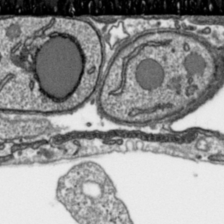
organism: Toxoplasma gondii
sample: Parasites in a vacuole inside a host cell